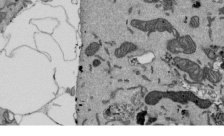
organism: Mouse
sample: ED-1 cell nuclei; centrioles